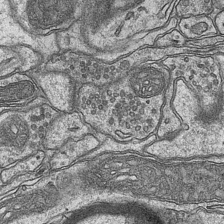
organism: Mouse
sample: CA1 Hippocampus